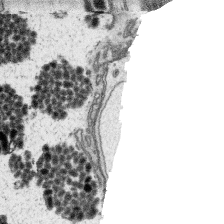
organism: Platynereis dumerilii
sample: Parapodia